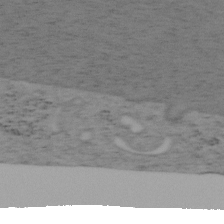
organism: Mouse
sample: OT-I killer T cells with ID8 ovarian cancer cells